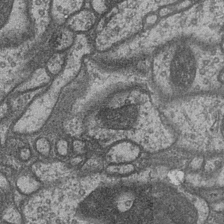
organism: Drosophila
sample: Optic medulla